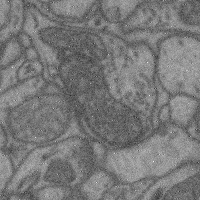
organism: Mouse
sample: Cerebral cortex